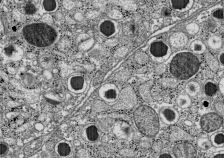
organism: C57BL Mouse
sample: Pancreatic islet